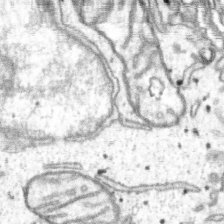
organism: Human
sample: HeLa cells